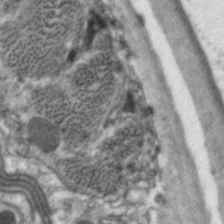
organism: C. elegans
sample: Pharynx